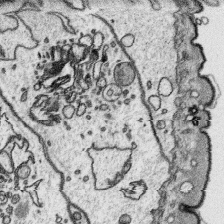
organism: Platynereis dumerilii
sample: Parapodia